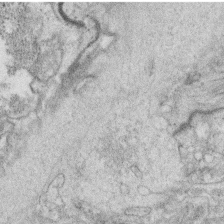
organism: C. elegans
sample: C. elegans oocyte; sperm cells